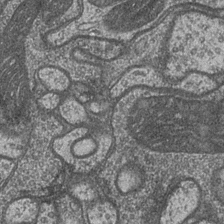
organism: Drosophila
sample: Optic medulla